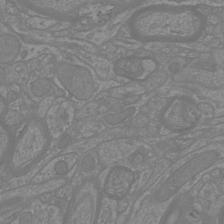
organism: Mouse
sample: Cortical neurons